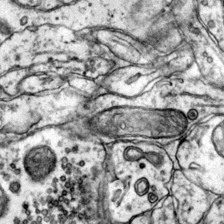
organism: Mouse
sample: Primary visual cortex